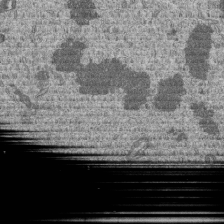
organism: Human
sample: MDA-MB-231 cells